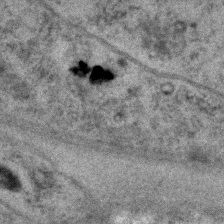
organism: C. elegans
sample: C. elegans embryo